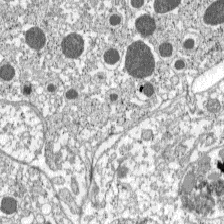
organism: C57BL Mouse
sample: Pancreatic islet